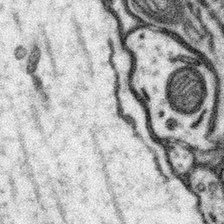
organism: Mouse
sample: Somatosensory cortex neuropil